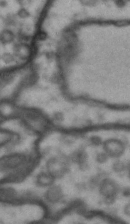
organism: Drosophila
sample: Brain